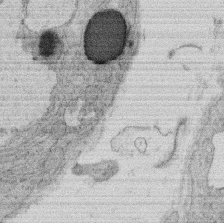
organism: Rat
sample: Salivary granule